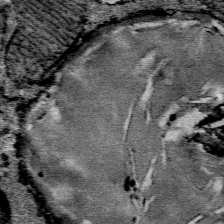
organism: Mouse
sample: Mouse Salivary gland